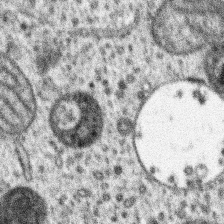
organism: Human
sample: HeLa cells